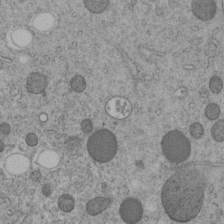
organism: C. elegans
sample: C. elegans embryo early stage